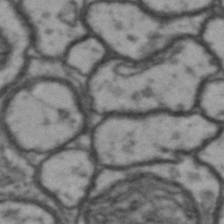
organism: Drosophila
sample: Brain